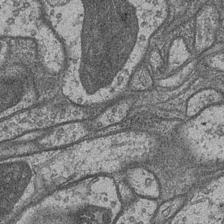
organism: Drosophila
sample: Optic medulla